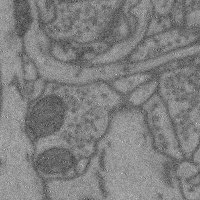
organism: Mouse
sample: Cerebral cortex